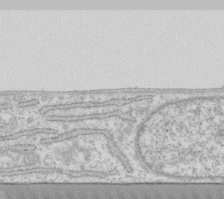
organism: Human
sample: Fibroblast cells